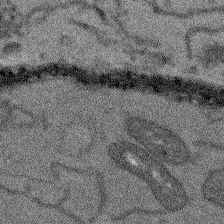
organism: Arabidopsis thaliana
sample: Root tip